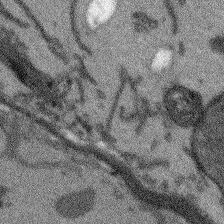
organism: Arabidopsis thaliana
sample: Root tip